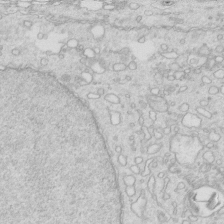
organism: Mouse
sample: Multiciliated cells